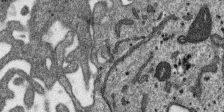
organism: Human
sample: Lung epithelial cells infected with SARS-CoV-2